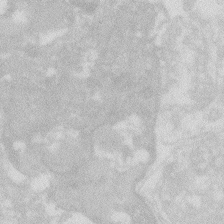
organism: Zebrafish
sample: Macrophage